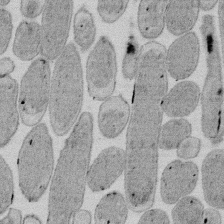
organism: E. coli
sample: Bacterial nucleoid